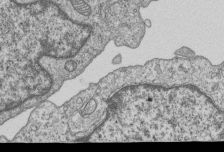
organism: Human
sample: MDA-MB-231 cells